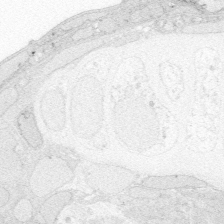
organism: Zebrafish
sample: Whole-Brain